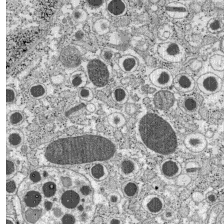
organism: C57BL Mouse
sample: Pancreatic islet